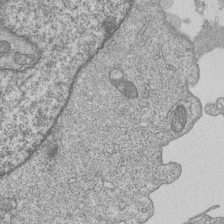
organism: Human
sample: MDA-MB-231 cells